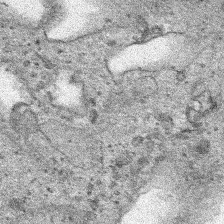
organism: Human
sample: Mitochondria in HCT116 cells